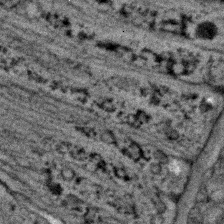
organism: C. elegans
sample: C. elegans embryo